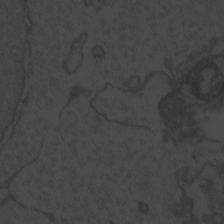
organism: Zebrafish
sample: Macrophage infected with Toxoplasma gondii